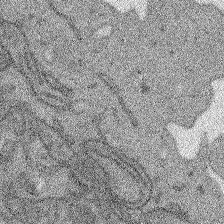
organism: Human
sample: HeLa cells